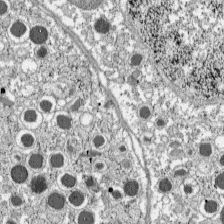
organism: C57BL Mouse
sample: Pancreatic islet